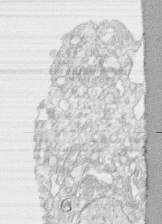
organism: Human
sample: CRL-1474